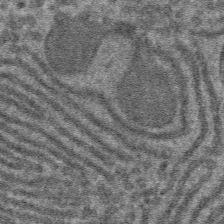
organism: Mouse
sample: Mouse hepatocytes